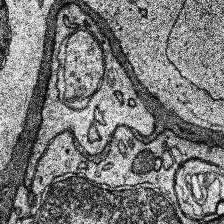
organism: Human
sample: Temporal Lobe